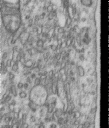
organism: Human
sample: Centriole in RPE cells